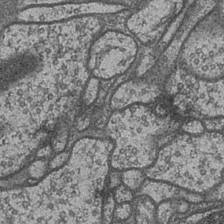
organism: Drosophila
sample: Optic medulla